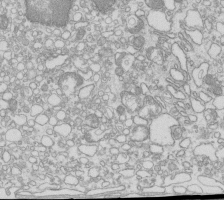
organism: Mouse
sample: Macrophages